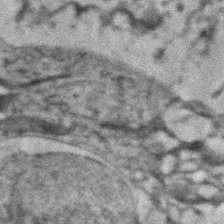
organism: Zebrafish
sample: Zebrafish embryo